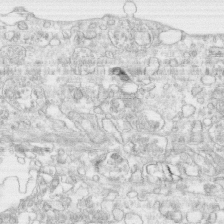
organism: Human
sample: CRL-1474